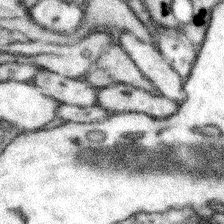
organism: Mouse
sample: Somatosensory cortex neuropil